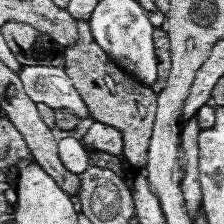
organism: Human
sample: Temporal Lobe